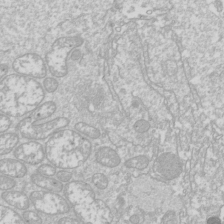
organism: Drosophila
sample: Cell division; meiosis; drosophila spermatocytes